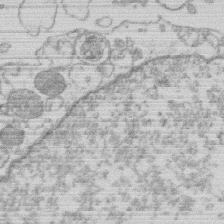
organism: Human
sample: Macrophage cells